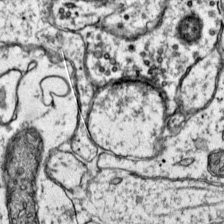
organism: Mouse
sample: Primary visual cortex